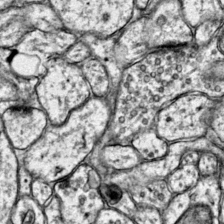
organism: Mouse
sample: Primary visual cortex